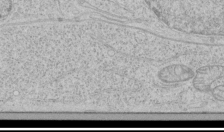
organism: Human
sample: Mitochondria in HCT116 cells